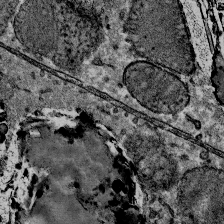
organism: Mouse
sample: Mouse Salivary gland